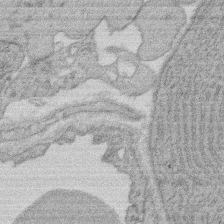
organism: Rat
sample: Salivary granule